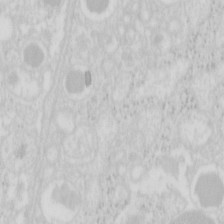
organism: Mouse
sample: Pancreas